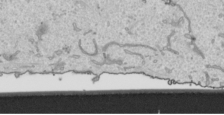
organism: Human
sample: Mitochondria in HCT116 cells